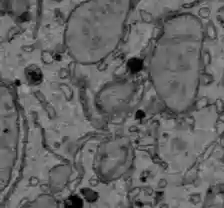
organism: C57BL Mouse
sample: Liver